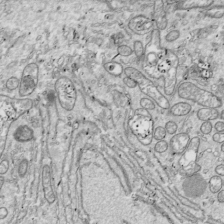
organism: Drosophila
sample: Cell division; meiosis; drosophila spermatocytes